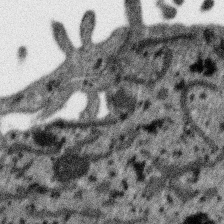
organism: Human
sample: Lung epithelial cells infected with SARS-CoV-2